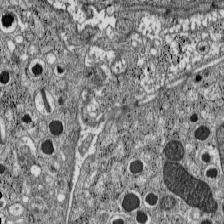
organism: C57BL Mouse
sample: Pancreatic islet